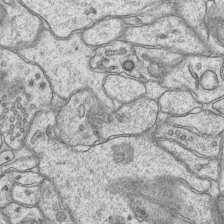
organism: Mouse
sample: CA1 Hippocampus